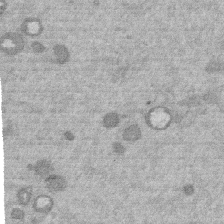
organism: Mouse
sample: Dividing mouse embryo 1 cell stage